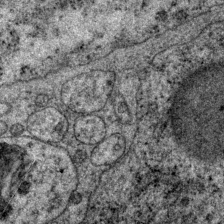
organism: P. pacificus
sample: Pharynx